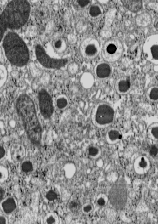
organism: C57BL Mouse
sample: Pancreatic islet